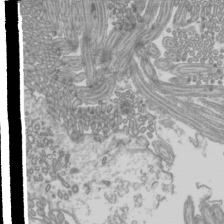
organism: Mouse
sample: Cilia; mouse epididymis